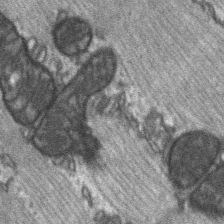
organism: C57BL Mouse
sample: Soleus